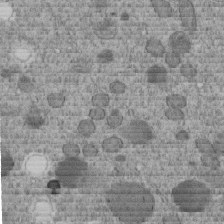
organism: C. elegans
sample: C. elegans embryo early stage